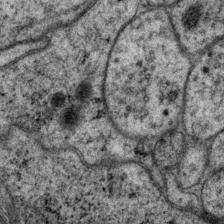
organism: P. pacificus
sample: Pharynx